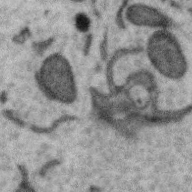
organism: Zebra finch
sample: Brain